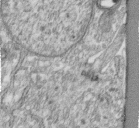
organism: Human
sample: Centriole in fibroblast cells